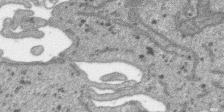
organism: Human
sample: Lung epithelial cells infected with SARS-CoV-2